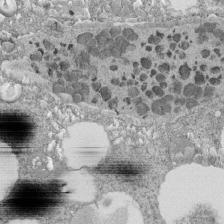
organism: Tetrahymena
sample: Cilia in tetrahymena